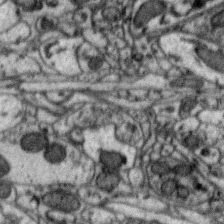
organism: Zebra finch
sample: Brain